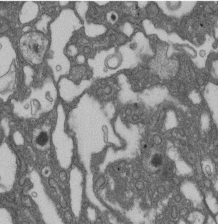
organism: Drosophila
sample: Nephrocyte